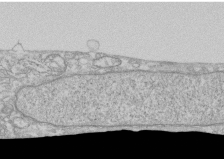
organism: Human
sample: CRL-1474